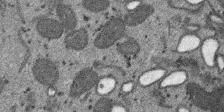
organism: Human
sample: Lung epithelial cells infected with SARS-CoV-2